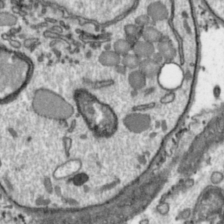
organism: Toxoplasma gondii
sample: Parasites in a vacuole inside a host cell